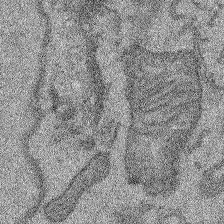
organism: Human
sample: HeLa cells